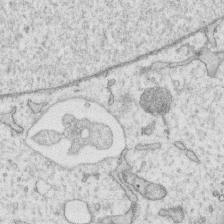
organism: Human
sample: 1205lu cells